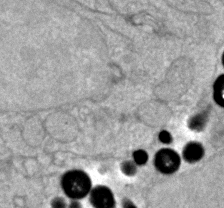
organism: Zebrafish